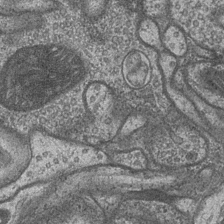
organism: Drosophila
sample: Optic medulla